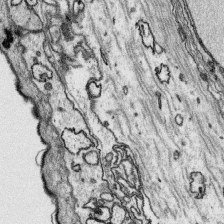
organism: Platynereis dumerilii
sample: Parapodia